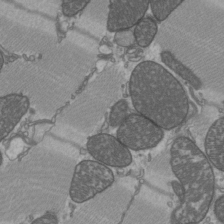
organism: C57BL Mouse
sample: Heart